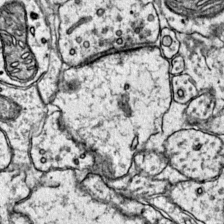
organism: Mouse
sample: Primary visual cortex